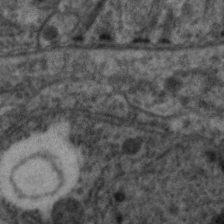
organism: C. elegans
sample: Pharynx